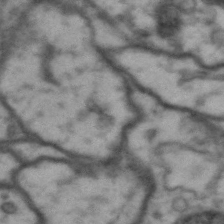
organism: Drosophila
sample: Brain